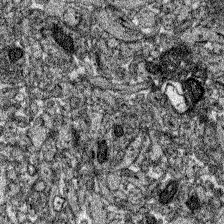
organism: Zebrafish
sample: Larval olfactory bulb